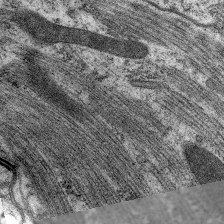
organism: C. elegans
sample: Pharynx